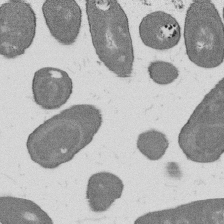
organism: B. subtilis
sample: Bacterial spore